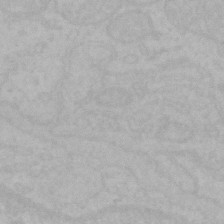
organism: Mouse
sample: Choroid plexus